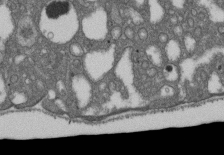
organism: Drosophila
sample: Nephrocyte